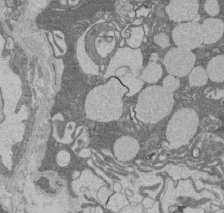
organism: Rat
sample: Salivary granule